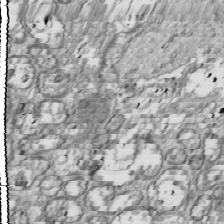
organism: Drosophila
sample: Cell division; meiosis; drosophila spermatocytes